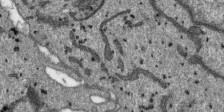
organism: Human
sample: Lung epithelial cells, uninfected (mock) control